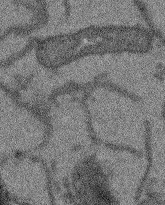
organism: Arabidopsis thaliana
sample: Root tip